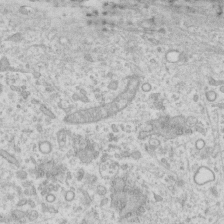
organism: Human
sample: Fibroblast cells